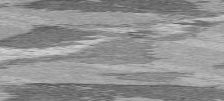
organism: C57BL Mouse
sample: Heart